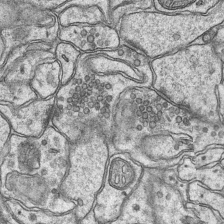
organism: Mouse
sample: CA1 Hippocampus